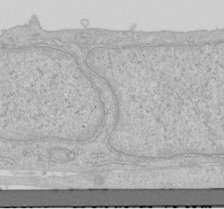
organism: Human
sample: Centriole in RPE cells